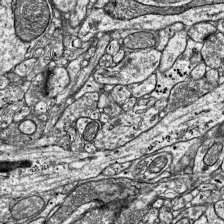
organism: Mouse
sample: Visual Cortex